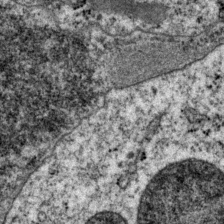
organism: P. pacificus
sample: Pharynx